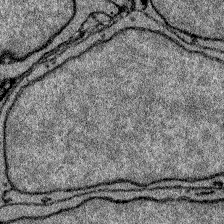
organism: Zebrafish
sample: Larval olfactory bulb